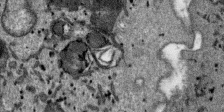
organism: Human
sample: Lung epithelial cells, uninfected (mock) control